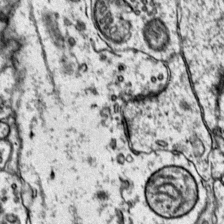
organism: Mouse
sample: Primary visual cortex